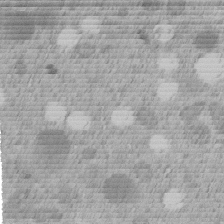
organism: C. elegans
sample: C. elegans embryo early stage